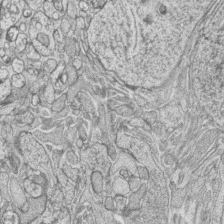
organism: Zebrafish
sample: synaptic ribbons in rod cells and cone cells